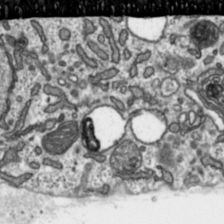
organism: Toxoplasma gondii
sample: Parasites in a vacuole inside a host cell